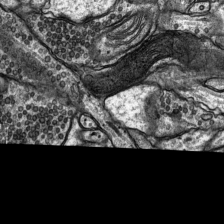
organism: Rat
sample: Hippocampus